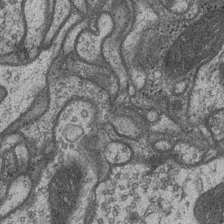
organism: Drosophila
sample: Optic medulla